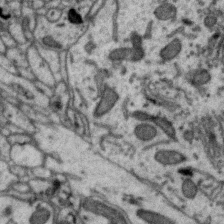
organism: Zebra finch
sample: Brain